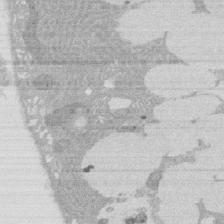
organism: Rat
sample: Salivary granule